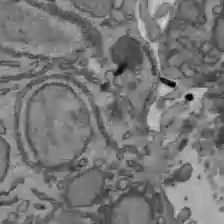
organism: C57BL Mouse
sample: Liver